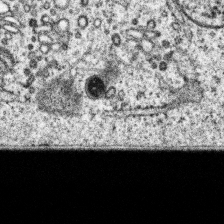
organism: Human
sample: HeLa cells